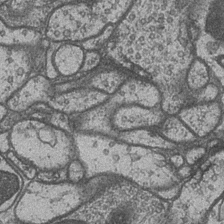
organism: Drosophila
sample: Optic medulla